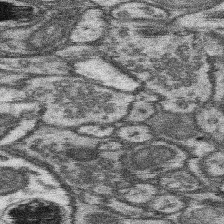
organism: Mouse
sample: Somatosensory cortex neuropil